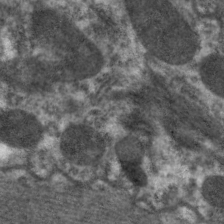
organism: C. elegans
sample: Pharynx